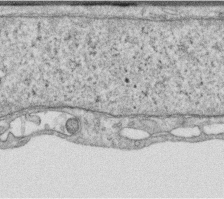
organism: Human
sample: Centriole in RPE cells